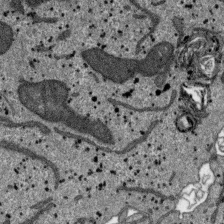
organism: Human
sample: Lung epithelial cells, uninfected (mock) control